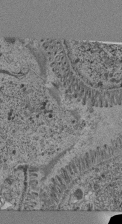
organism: C. elegans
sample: C. elegans pharynx